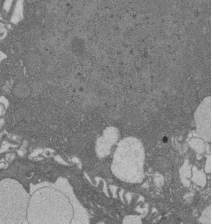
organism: Rat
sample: Salivary granule